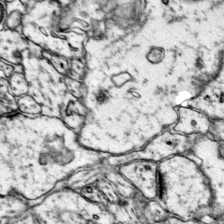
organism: Mouse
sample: Primary visual cortex